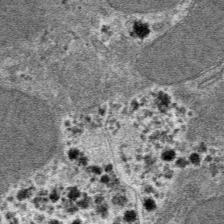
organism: Mouse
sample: Mouse hepatocytes